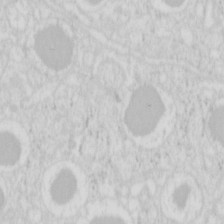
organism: Mouse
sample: Pancreas